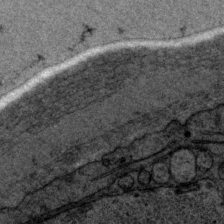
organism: P. pacificus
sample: Pharynx